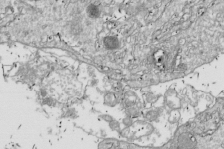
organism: Drosophila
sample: Cell division; meiosis; drosophila spermatocytes